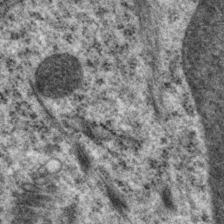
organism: P. pacificus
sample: Pharynx